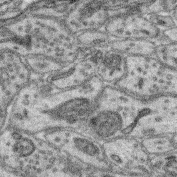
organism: Mouse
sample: Retina